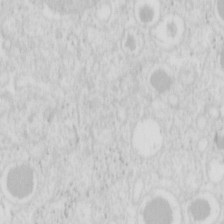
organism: Mouse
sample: Pancreas